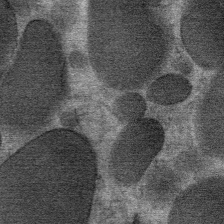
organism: Mouse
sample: Mouse Salivary gland